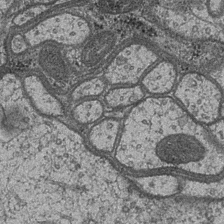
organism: Drosophila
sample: Optic medulla